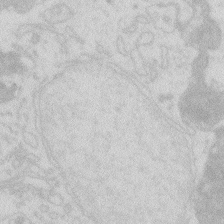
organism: Zebrafish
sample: Macrophage